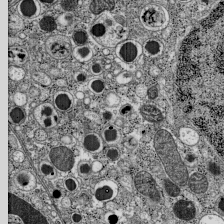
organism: C57BL Mouse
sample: Pancreatic islet